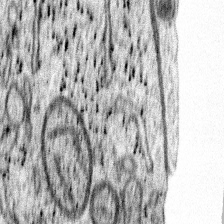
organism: Human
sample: HeLa cells